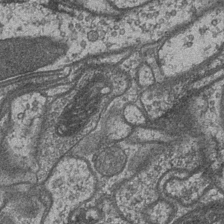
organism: Drosophila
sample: Optic medulla